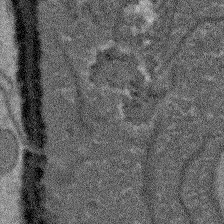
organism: Arabidopsis thaliana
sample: Root tip